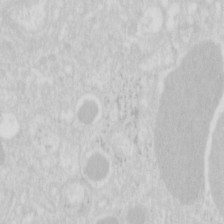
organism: Mouse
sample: Pancreas